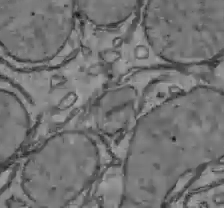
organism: C57BL Mouse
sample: Liver